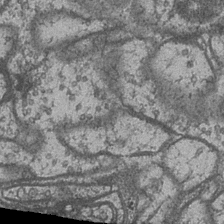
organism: Drosophila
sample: Optic medulla